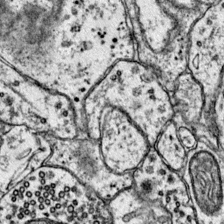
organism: Mouse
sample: Primary visual cortex